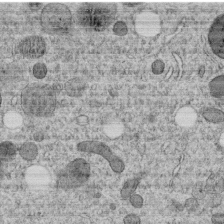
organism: C. elegans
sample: C. elegans embryo early stage